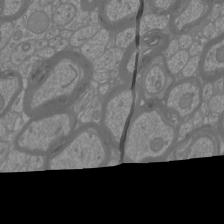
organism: Mouse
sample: Cortical neurons